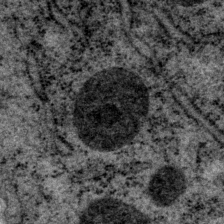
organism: P. pacificus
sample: Pharynx